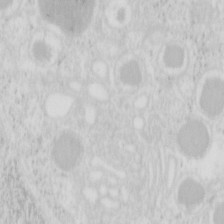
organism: Mouse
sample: Pancreas